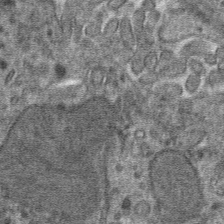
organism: Mouse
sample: Mouse hepatocytes